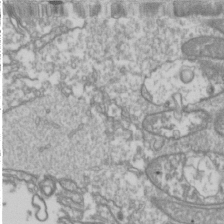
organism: Drosophila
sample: Cell division; meiosis; drosophila spermatocytes